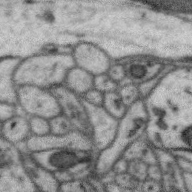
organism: Zebra finch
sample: Brain